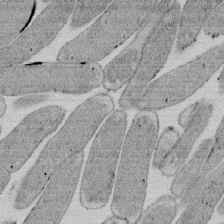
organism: E. coli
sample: Bacterial nucleoid